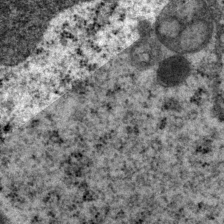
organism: P. pacificus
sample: Pharynx